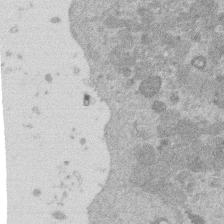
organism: Mouse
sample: Dividing mouse embryo 1 cell stage